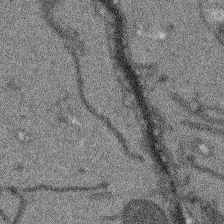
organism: Arabidopsis thaliana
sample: Root tip